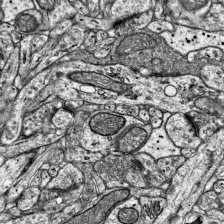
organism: Mouse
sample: Visual Cortex